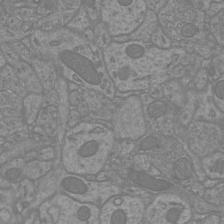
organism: Mouse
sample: Cortical neurons